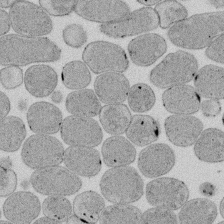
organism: E. coli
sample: Bacterial nucleoid